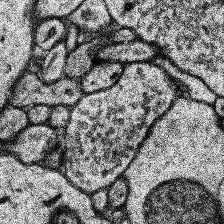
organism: Human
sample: Temporal Lobe